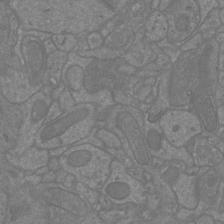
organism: Mouse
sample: Cortical neurons